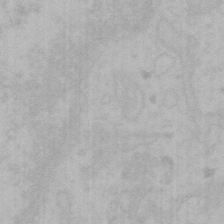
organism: Mouse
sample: Choroid plexus